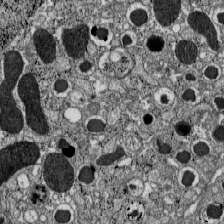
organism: C57BL Mouse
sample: Pancreatic islet